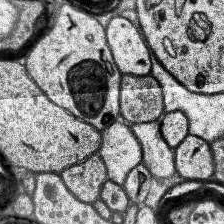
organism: Human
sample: Temporal Lobe